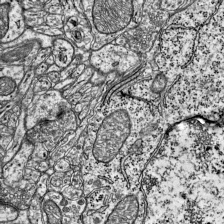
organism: Mouse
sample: Visual Cortex